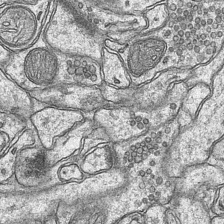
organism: Mouse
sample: CA1 Hippocampus